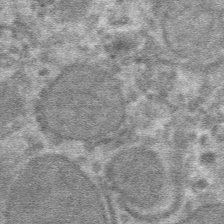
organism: Mouse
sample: Mouse hepatocytes